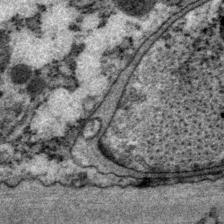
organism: P. pacificus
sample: Pharynx